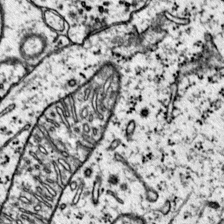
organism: Mouse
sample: Primary visual cortex